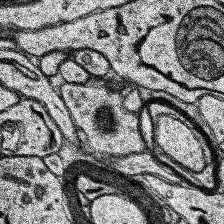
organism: Human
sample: Temporal Lobe